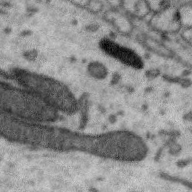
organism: Zebra finch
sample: Brain